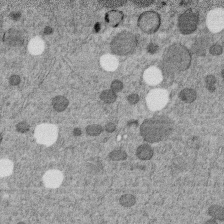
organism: C. elegans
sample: C. elegans embryo early stage